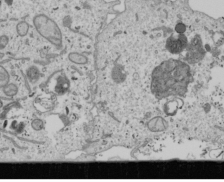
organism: Human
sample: Mitochondria in U2OS cells